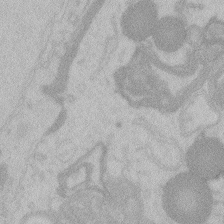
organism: Zebrafish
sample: Macrophage infected with Toxoplasma gondii